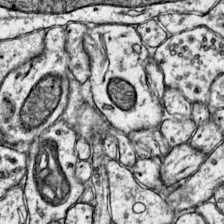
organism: Mouse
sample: Primary visual cortex